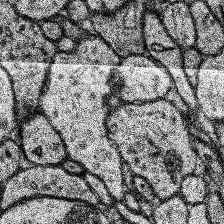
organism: Human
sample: Temporal Lobe